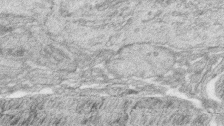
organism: Zebrafish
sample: synaptic ribbons in rod cells and cone cells